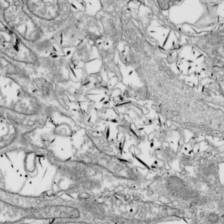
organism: Drosophila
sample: Cell division; meiosis; drosophila spermatocytes